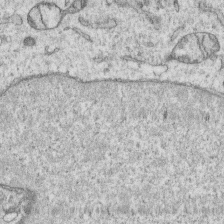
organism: Human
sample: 1205lu cells